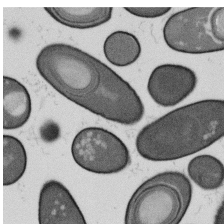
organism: B. subtilis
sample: Bacterial spore